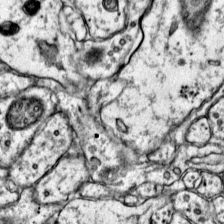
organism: Mouse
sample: Primary visual cortex